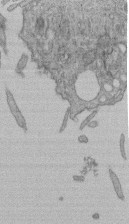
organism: Human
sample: Retinal organoid Rod and Cone cells